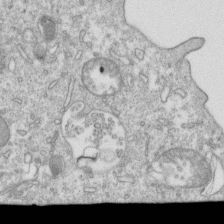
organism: Mouse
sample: Activated OT-1 CD8+ T cells